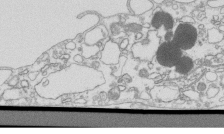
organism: Mouse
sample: Macrophages